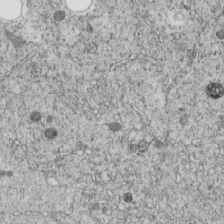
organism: C. elegans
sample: C. elegans embryo early stage